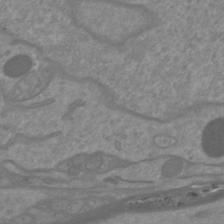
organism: Mouse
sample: Cortical neurons